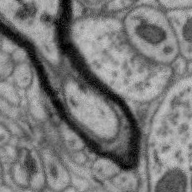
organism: Zebra finch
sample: Brain